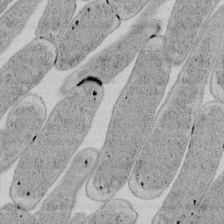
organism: E. coli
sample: Bacterial nucleoid